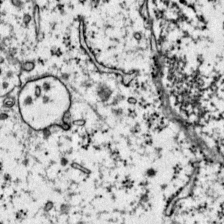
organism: Mouse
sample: Primary visual cortex